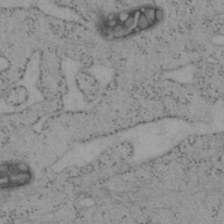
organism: Mouse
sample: OT-I killer T cells with ID8 ovarian cancer cells